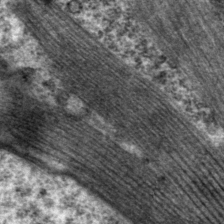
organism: P. pacificus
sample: Pharynx